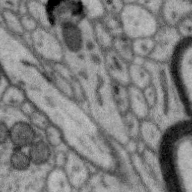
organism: Zebra finch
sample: Brain